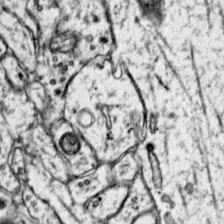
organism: Mouse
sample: Primary visual cortex